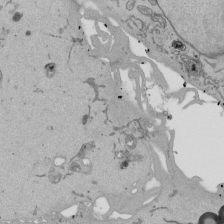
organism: Mouse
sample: ED-1 cell nuclei; centrioles